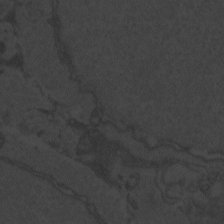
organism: Zebrafish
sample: Macrophage infected with Toxoplasma gondii